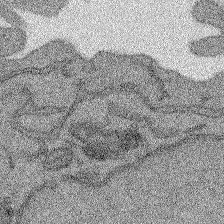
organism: Human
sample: HeLa cells